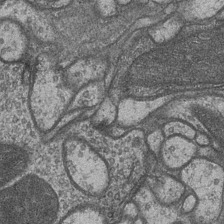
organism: Drosophila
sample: Optic medulla